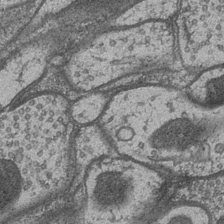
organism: Drosophila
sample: Optic medulla